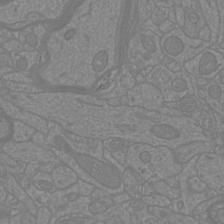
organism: Mouse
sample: Cortical neurons